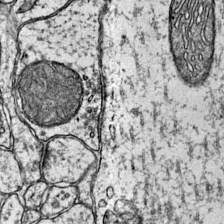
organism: Mouse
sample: Primary visual cortex